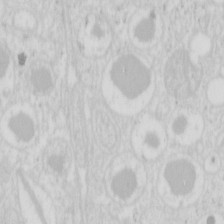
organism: Mouse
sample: Pancreas